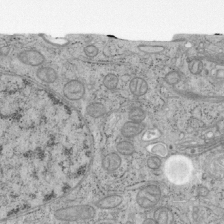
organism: Human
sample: HeLa cells